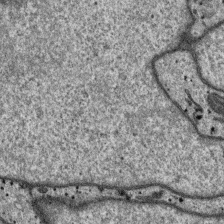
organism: Human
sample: Lung epithelial cells, uninfected (mock) control